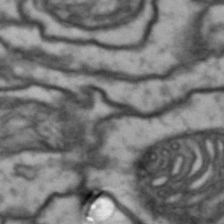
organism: Drosophila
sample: Brain